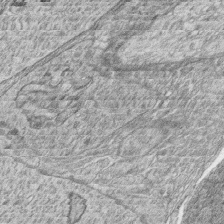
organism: Zebrafish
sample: synaptic ribbons in rod cells and cone cells